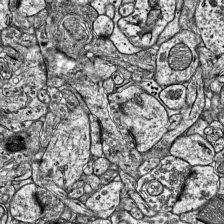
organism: Mouse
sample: Visual Cortex